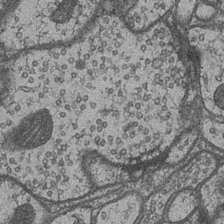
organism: Drosophila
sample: Optic medulla